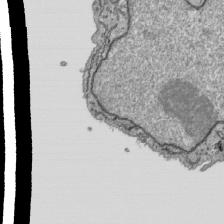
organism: Human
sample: Mitochondria in HCT116 cells